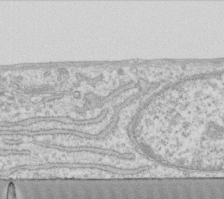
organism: Human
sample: Fibroblast cells